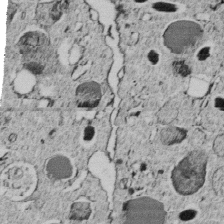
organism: C. elegans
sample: C. elegans embryo early stage